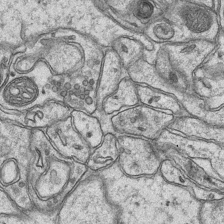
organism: Mouse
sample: CA1 Hippocampus